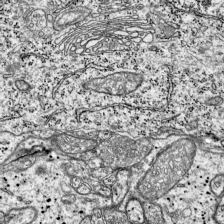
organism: Mouse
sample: Visual Cortex